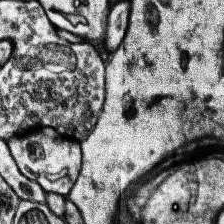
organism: Human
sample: Temporal Lobe